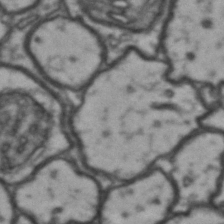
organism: Drosophila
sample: Brain